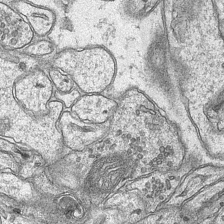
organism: Mouse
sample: CA1 Hippocampus